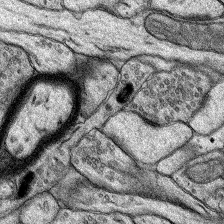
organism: Rat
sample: Hippocampus